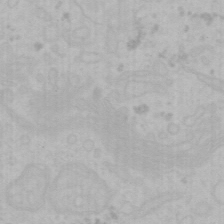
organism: Mouse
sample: Choroid plexus